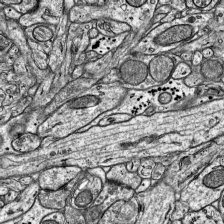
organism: Mouse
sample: Visual Cortex